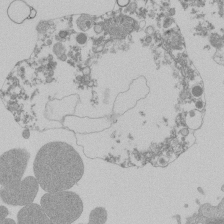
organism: Mouse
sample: Activated Pmel transgenic CD8+ T Cells